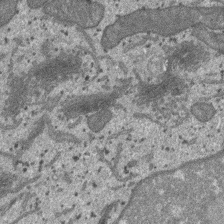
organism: Human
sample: Lung epithelial cells infected with SARS-CoV-2